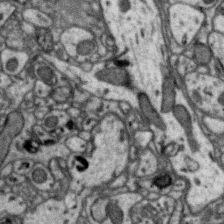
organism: Zebra finch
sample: Brain